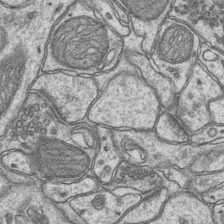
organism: Mouse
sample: CA1 Hippocampus